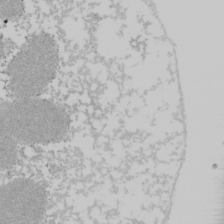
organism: Mouse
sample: Cancer cell death in ED-1 cells